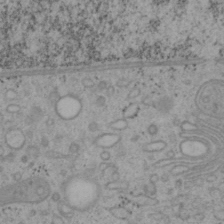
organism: Human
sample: HeLa cells